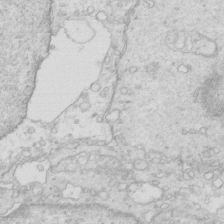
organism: Mouse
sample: Multiciliated cells